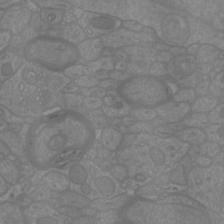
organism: Mouse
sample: Cortical neurons